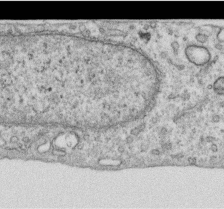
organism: Human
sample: Centriole in RPE cells